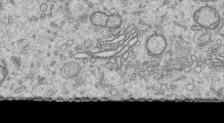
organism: Human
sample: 1205lu cells